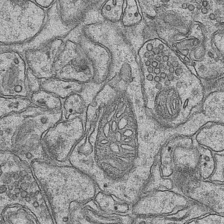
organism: Mouse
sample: CA1 Hippocampus